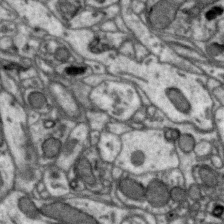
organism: Zebra finch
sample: Brain